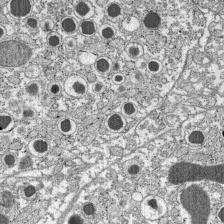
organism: C57BL Mouse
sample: Pancreatic islet